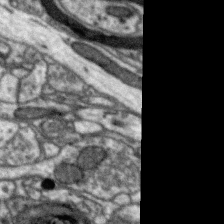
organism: Zebra finch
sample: Brain